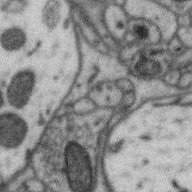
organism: Zebra finch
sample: Brain